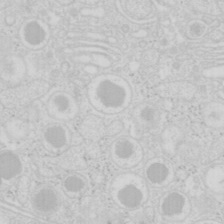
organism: Mouse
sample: Pancreas